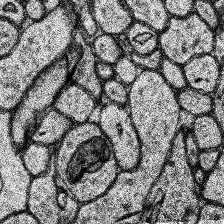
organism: Human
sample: Temporal Lobe